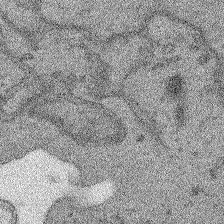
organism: Human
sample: HeLa cells